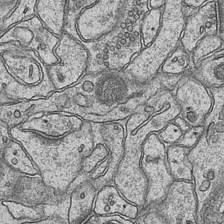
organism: Mouse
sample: CA1 Hippocampus